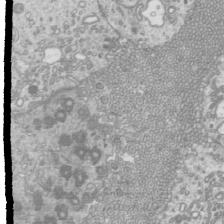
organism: Mouse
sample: Cilia; mouse epididymis